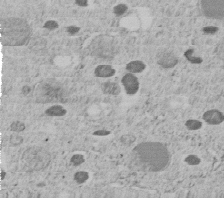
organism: C. elegans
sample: C. elegans embryo early stage